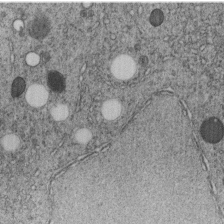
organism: C. elegans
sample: C. elegans embryo early stage